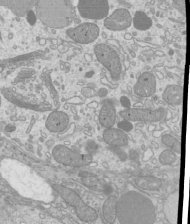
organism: Mouse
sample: Cilia; mouse epididymis